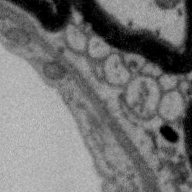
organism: Zebra finch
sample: Brain